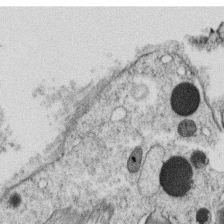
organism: C. elegans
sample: C. elegans oocyte; sperm cells